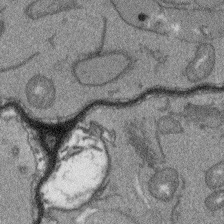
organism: Arabidopsis thaliana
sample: Root tip